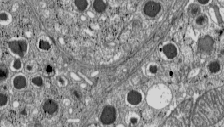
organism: C57BL Mouse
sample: Pancreatic islet